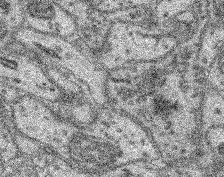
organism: Mouse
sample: Retina